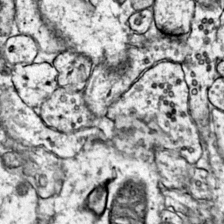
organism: Mouse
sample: Primary visual cortex